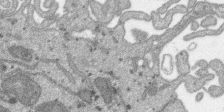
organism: Human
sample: Lung epithelial cells infected with SARS-CoV-2